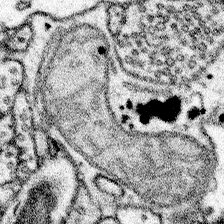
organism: Mouse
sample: Somatosensory cortex neuropil